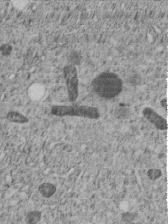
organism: C. elegans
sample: C. elegans embryo early stage